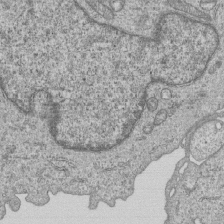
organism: Human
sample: MDA-MB-231 cells